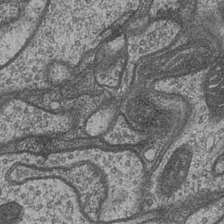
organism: Drosophila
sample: Optic medulla